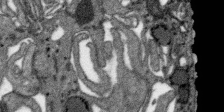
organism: Human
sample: Lung epithelial cells, uninfected (mock) control